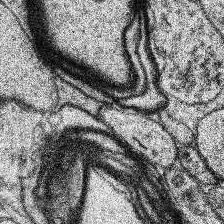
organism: Human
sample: Temporal Lobe